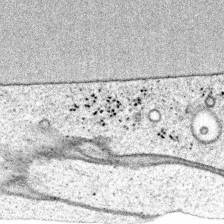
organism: Human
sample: HeLa cells